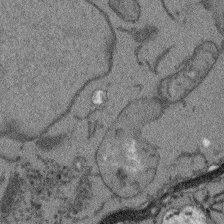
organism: Arabidopsis thaliana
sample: Root tip